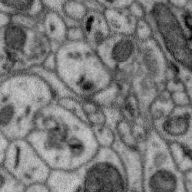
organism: Zebra finch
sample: Brain